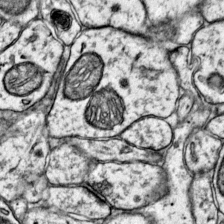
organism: Mouse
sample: Primary visual cortex